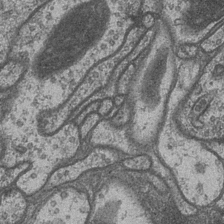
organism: Drosophila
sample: Optic medulla